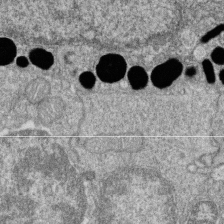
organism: Zebrafish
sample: Cilia; retinal pigment epithelium